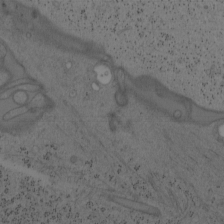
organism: Mouse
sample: OT-I killer T cells with ID8 ovarian cancer cells